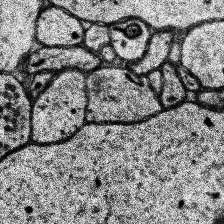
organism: Human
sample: Temporal Lobe